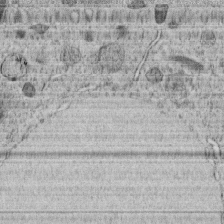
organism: C. elegans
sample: C. elegans embryo early stage